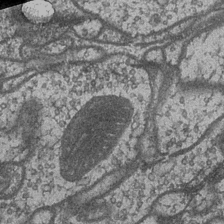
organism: Drosophila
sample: Optic medulla